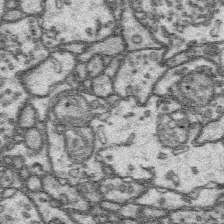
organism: Platynereis dumerilii